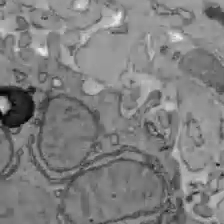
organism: C57BL Mouse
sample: Liver